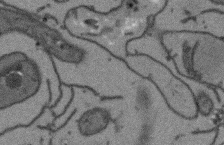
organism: Arabidopsis thaliana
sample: Root tip